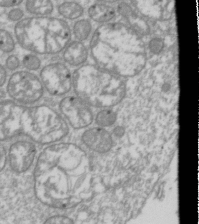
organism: Drosophila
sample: Cell division; meiosis; drosophila spermatocytes